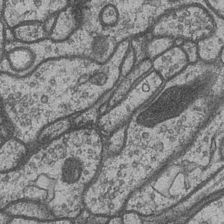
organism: Drosophila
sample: Optic medulla